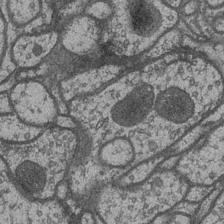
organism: Drosophila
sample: Optic medulla